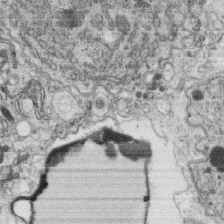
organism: C. elegans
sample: C. elegans oocyte; sperm cells